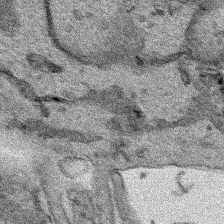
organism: Human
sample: Mitochondria in HCT116 cells